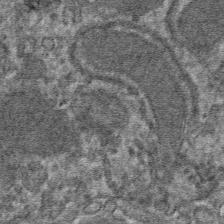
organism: Mouse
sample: Mouse hepatocytes